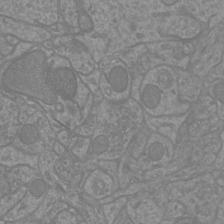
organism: Mouse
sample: Cortical neurons